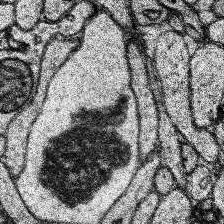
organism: Human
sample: Temporal Lobe